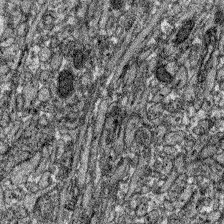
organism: Zebrafish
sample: Larval olfactory bulb